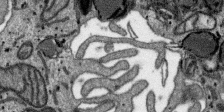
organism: Human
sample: Lung epithelial cells, uninfected (mock) control